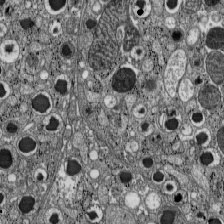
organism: C57BL Mouse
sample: Pancreatic islet